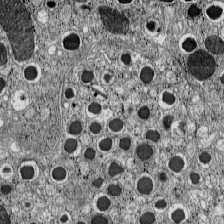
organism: C57BL Mouse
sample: Pancreatic islet